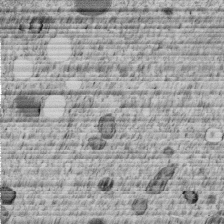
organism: C. elegans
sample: C. elegans embryo early stage